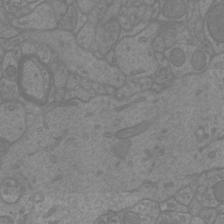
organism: Mouse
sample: Cortical neurons